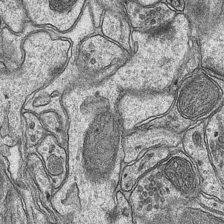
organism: Mouse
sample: CA1 Hippocampus